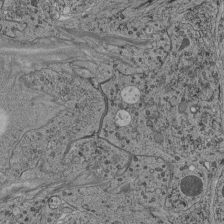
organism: C. elegans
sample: C. elegans pharynx